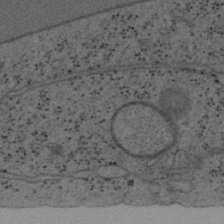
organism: Human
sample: HeLa cells